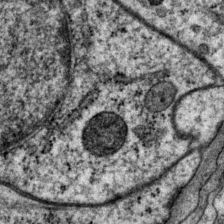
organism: P. pacificus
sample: Pharynx